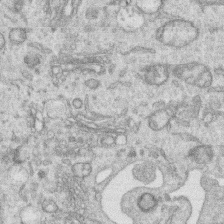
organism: Human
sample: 1205lu cells